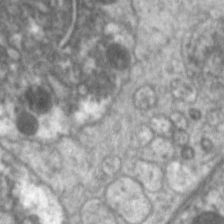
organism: C. elegans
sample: Pharynx